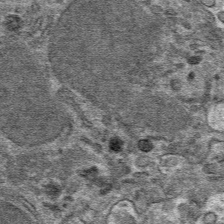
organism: Mouse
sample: Mouse hepatocytes